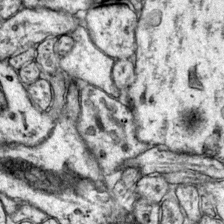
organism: Mouse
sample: Primary visual cortex